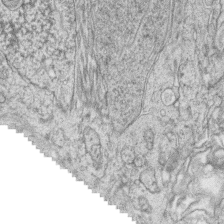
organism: Zebrafish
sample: synaptic ribbons in rod cells and cone cells